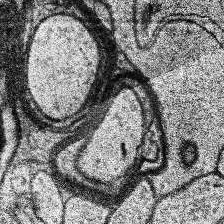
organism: Human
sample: Temporal Lobe